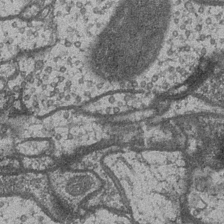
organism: Drosophila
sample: Optic medulla